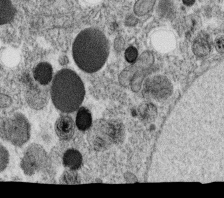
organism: C. elegans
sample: C. elegans oocyte; sperm cells